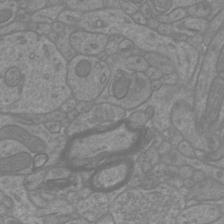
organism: Mouse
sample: Cortical neurons